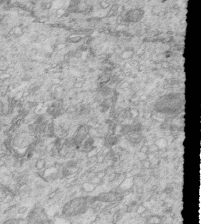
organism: Mouse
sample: Multiciliated cells